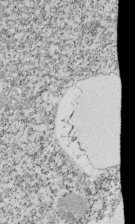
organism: Tetrahymena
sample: Cilia in tetrahymena